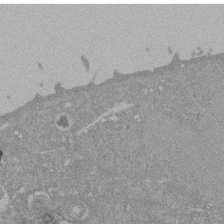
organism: Mouse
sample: ED-1 cell nuclei; centrioles